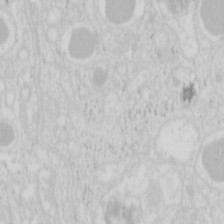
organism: Mouse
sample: Pancreas